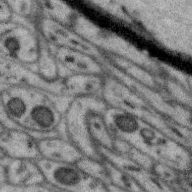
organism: Zebra finch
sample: Brain